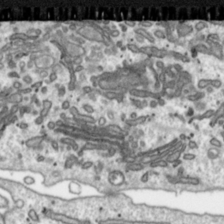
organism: Toxoplasma gondii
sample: Parasites in a vacuole inside a host cell